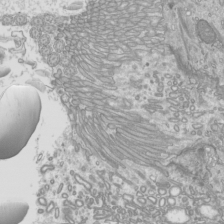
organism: Mouse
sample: Cilia; mouse epididymis